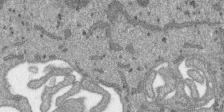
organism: Human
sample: Lung epithelial cells infected with SARS-CoV-2